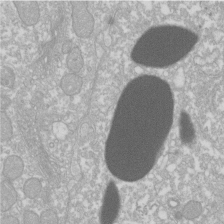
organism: Xenopus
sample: Cilia; centrioles in frog embryo cells